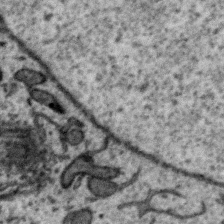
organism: Zebra finch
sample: Brain